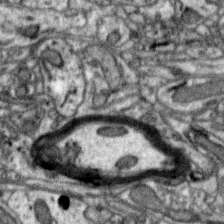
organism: Zebra finch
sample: Brain